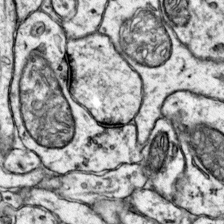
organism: Mouse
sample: Primary visual cortex